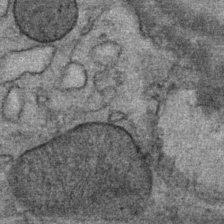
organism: Mouse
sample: Mouse Salivary gland